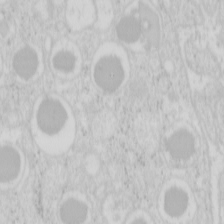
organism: Mouse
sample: Pancreas